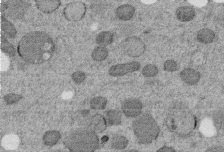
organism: C. elegans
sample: C. elegans embryo early stage